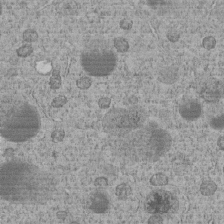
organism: C. elegans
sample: C. elegans embryo early stage